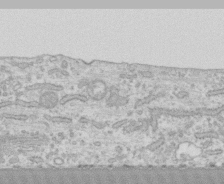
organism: Human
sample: CRL-1474